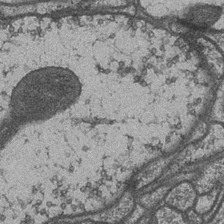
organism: Drosophila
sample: Optic medulla